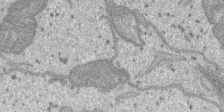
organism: Human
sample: Lung epithelial cells infected with SARS-CoV-2